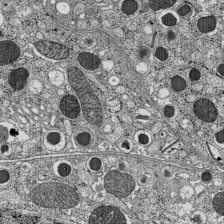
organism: C57BL Mouse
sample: Pancreatic islet